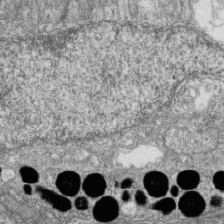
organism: Zebrafish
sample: Cilia; retinal pigment epithelium